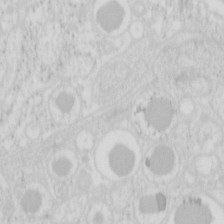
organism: Mouse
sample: Pancreas